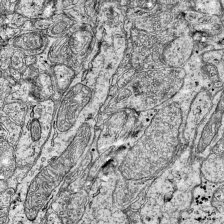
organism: Mouse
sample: Visual Cortex